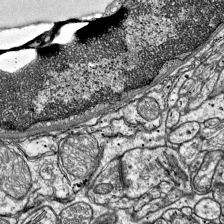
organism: Mouse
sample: Visual Cortex